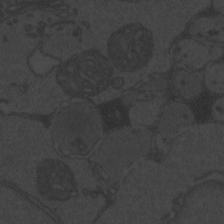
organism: Zebrafish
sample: Macrophage infected with Toxoplasma gondii